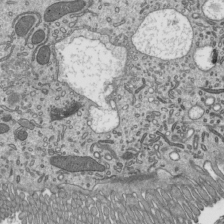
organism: Mouse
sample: Mouse epididymis efferent ductule cilia